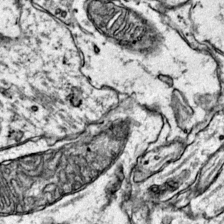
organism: Mouse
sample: Primary visual cortex